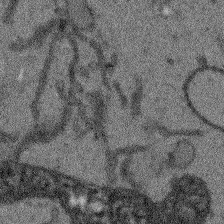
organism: Arabidopsis thaliana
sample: Root tip